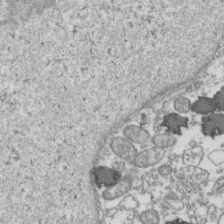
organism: Human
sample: Activated Jurkat CD4+ T cells